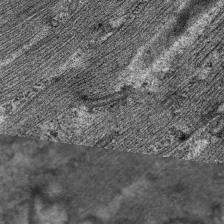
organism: C. elegans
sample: Pharynx